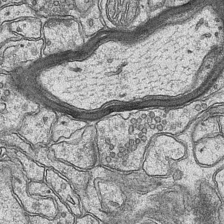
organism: Mouse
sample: CA1 Hippocampus